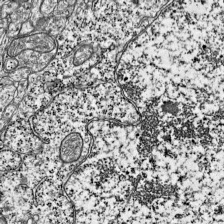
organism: Mouse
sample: Visual Cortex